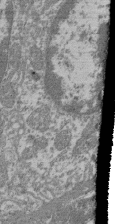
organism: Mouse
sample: Glomerulus